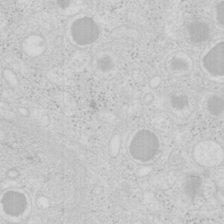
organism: Mouse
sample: Pancreas